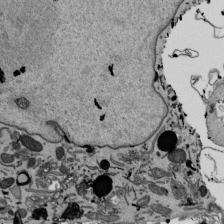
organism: Mouse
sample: ED-1 cell nuclei; centrioles